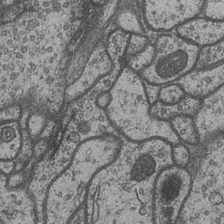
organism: Drosophila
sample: Optic medulla